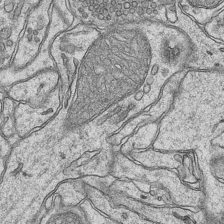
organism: Mouse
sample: CA1 Hippocampus